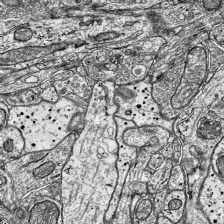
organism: Mouse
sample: Visual Cortex